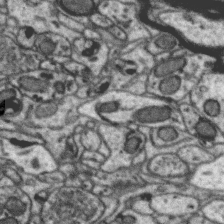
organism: Zebra finch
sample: Brain